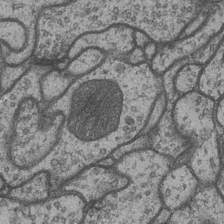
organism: Drosophila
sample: Optic medulla